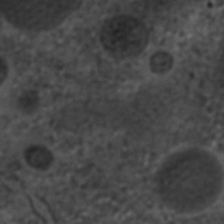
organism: C. elegans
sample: C. elegans embryo